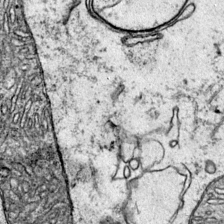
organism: Mouse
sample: Primary visual cortex